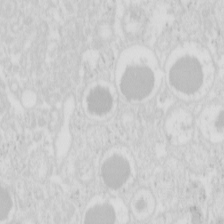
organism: Mouse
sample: Pancreas